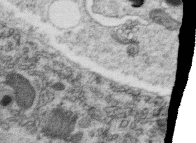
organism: C. elegans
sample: C. elegans oocyte; sperm cells